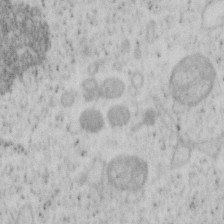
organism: Human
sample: HeLa cells